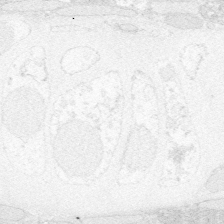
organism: Zebrafish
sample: Whole-Brain